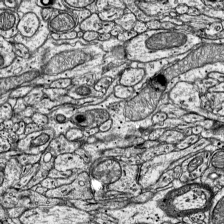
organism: Mouse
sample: Visual Cortex